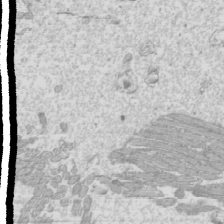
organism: Mouse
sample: Cilia; mouse epididymis